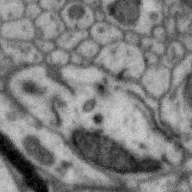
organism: Zebra finch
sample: Brain